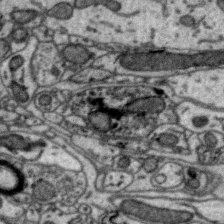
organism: Zebra finch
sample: Brain